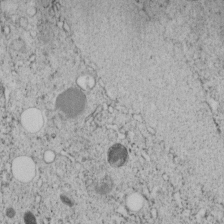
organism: C. elegans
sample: C. elegans embryo early stage